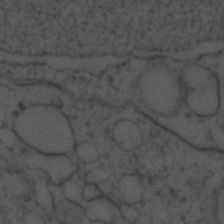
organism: Zebrafish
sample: Zebrafish embryo